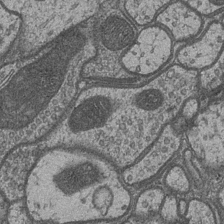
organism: Drosophila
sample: Optic medulla